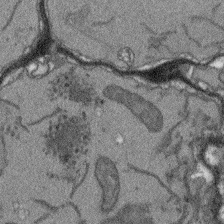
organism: Arabidopsis thaliana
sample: Root tip